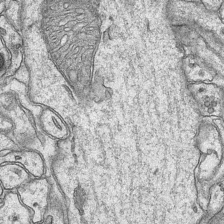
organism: Mouse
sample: CA1 Hippocampus